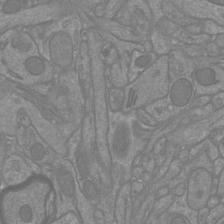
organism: Mouse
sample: Cortical neurons